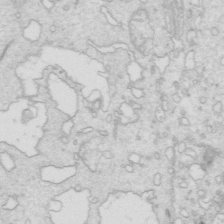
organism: Mouse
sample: Multiciliated cells